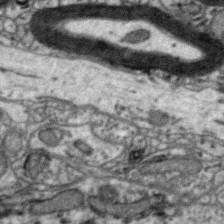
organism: Zebra finch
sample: Brain